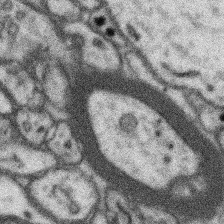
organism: Mouse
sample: Somatosensory cortex neuropil